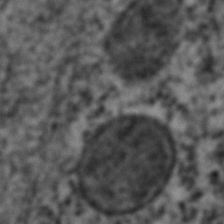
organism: C. elegans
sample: C. elegans embryo